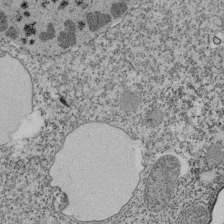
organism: Tetrahymena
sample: Cilia in tetrahymena